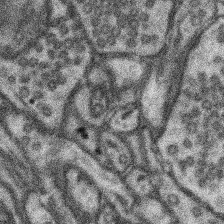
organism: Mouse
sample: Somatosensory cortex neuropil